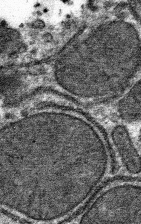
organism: Mouse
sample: Mouse hepatocytes